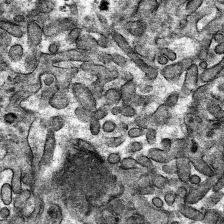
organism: Mouse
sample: Mouse hepatocytes